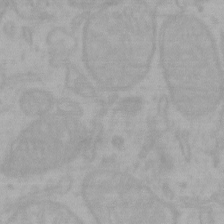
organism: Mouse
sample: Choroid plexus